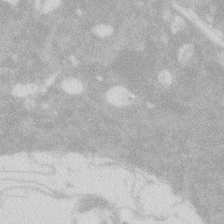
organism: Zebrafish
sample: Macrophage